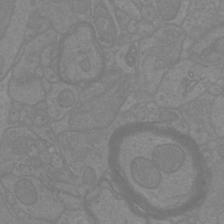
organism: Mouse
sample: Cortical neurons